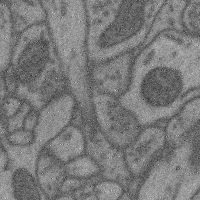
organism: Mouse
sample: Cerebral cortex